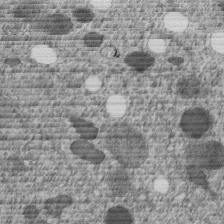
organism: C. elegans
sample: C. elegans embryo early stage